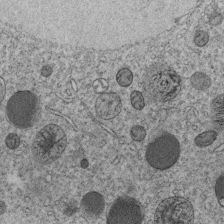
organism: C. elegans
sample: C. elegans embryo early stage